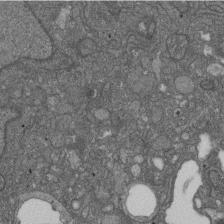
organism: Drosophila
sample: Nephrocyte